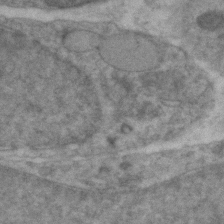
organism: Zebrafish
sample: Zebrafish embryo